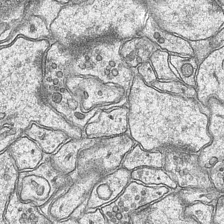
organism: Mouse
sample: CA1 Hippocampus